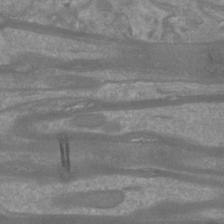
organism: Mouse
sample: Cortical neurons